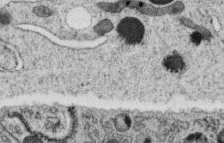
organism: C. elegans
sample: C. elegans oocyte; sperm cells